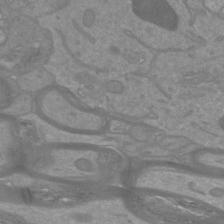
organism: Mouse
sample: Cortical neurons